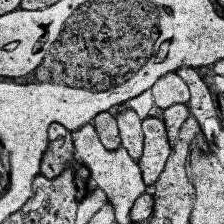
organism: Human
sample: Temporal Lobe